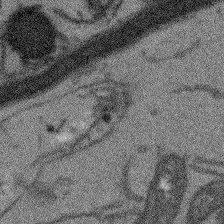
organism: Arabidopsis thaliana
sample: Root tip